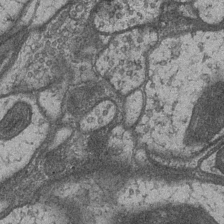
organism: Drosophila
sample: Optic medulla